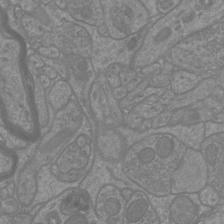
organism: Mouse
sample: Cortical neurons